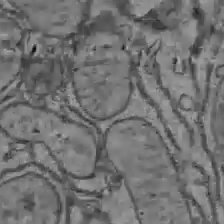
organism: C57BL Mouse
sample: Liver